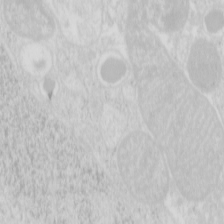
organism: Mouse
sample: Pancreas